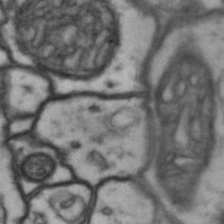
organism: Drosophila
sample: Brain